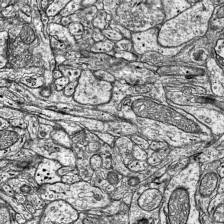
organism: Mouse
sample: Visual Cortex